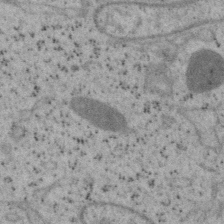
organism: Human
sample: HeLa cells